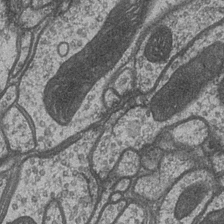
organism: Drosophila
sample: Optic medulla